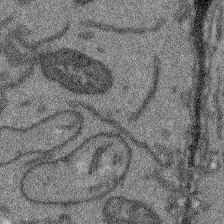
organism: Arabidopsis thaliana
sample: Root tip